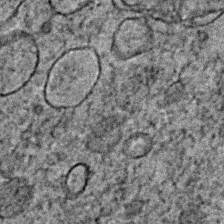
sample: Trachea